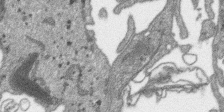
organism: Human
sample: Lung epithelial cells infected with SARS-CoV-2